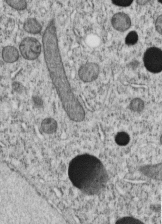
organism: C. elegans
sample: C. elegans embryo early stage